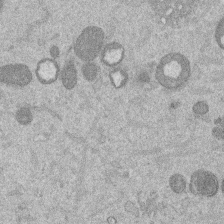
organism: Mouse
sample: Dividing mouse embryo 1 cell stage